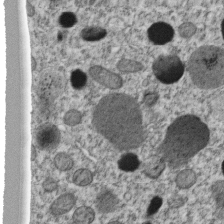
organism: C. elegans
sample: C. elegans embryo early stage